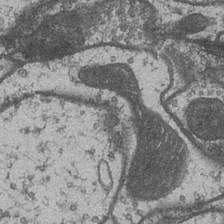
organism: Drosophila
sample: Optic medulla